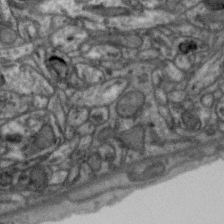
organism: Zebra finch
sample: Brain